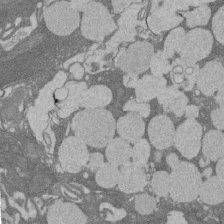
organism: Rat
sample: Salivary granule